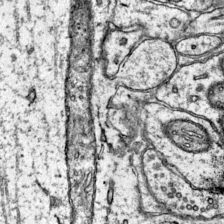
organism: Mouse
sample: Primary visual cortex